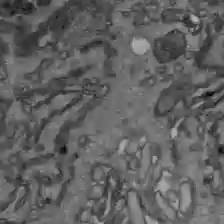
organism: C57BL Mouse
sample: Liver